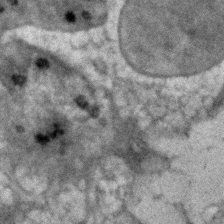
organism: Human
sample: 1205lu cells